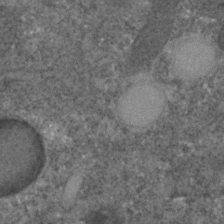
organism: C. elegans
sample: C. elegans embryo